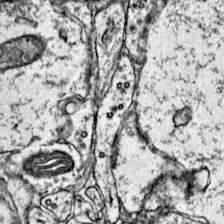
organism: Mouse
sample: Primary visual cortex